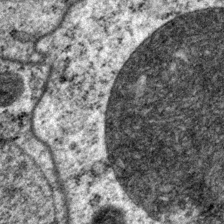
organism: P. pacificus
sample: Pharynx